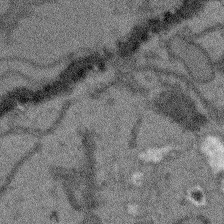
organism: Arabidopsis thaliana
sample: Root tip